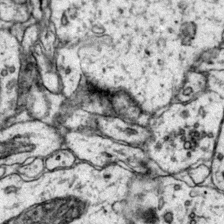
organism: Mouse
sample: Primary visual cortex